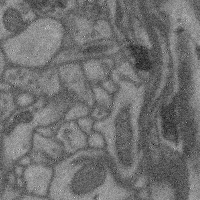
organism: Mouse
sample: Cerebral cortex